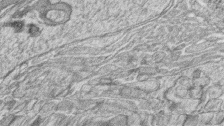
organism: Zebrafish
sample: synaptic ribbons in rod cells and cone cells